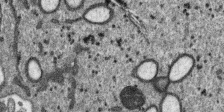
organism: Human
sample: Lung epithelial cells infected with SARS-CoV-2